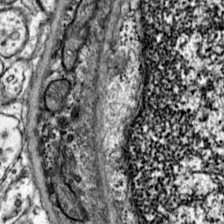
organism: Mouse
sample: Primary visual cortex